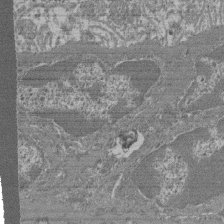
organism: Mouse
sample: Glomerulus